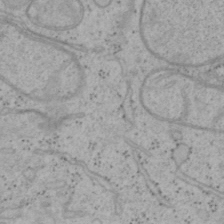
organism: Human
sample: HeLa cells